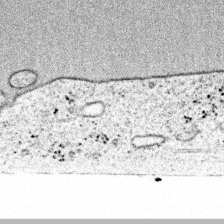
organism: Human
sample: HeLa cells